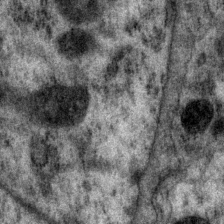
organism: P. pacificus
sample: Pharynx